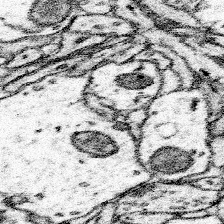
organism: Mouse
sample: Somatosensory cortex neuropil